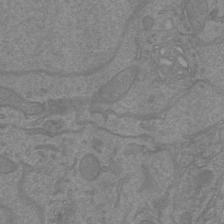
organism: Mouse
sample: Cortical neurons